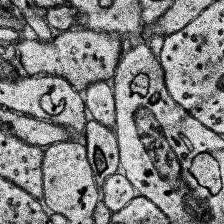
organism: Human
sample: Temporal Lobe